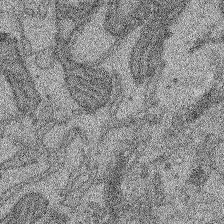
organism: Human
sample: HeLa cells